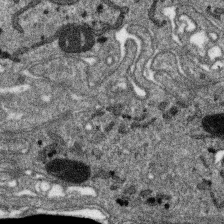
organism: Human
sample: Lung epithelial cells infected with SARS-CoV-2